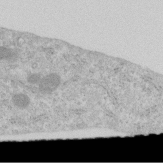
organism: Human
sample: Centriole in RPE cells